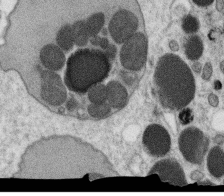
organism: C. elegans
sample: C. elegans oocyte; sperm cells